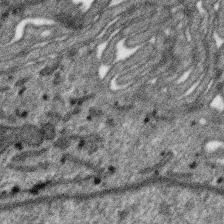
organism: Human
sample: Lung epithelial cells infected with SARS-CoV-2